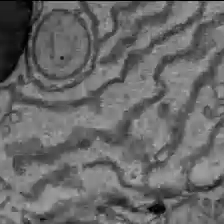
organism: C57BL Mouse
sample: Liver